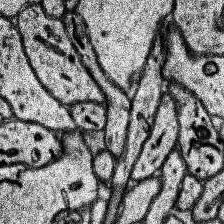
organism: Human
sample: Temporal Lobe